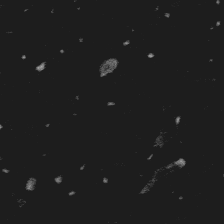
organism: Platynereis dumerilii